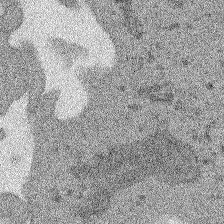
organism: Human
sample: HeLa cells